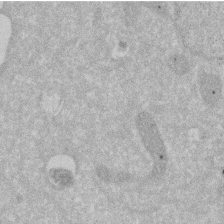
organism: Human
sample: HIV infected U937 cells